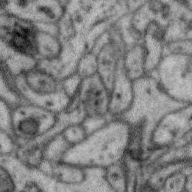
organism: Zebra finch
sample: Brain